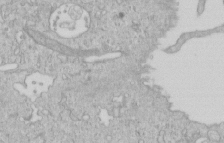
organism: Human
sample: Centriole in RPE cells